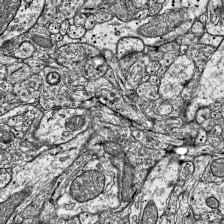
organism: Mouse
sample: Visual Cortex